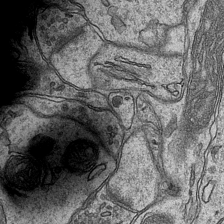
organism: Mouse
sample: CA1 Hippocampus